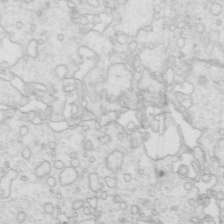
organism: Mouse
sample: Multiciliated cells